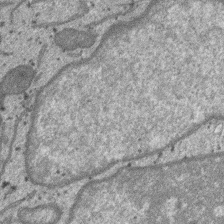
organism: Human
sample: Lung epithelial cells infected with SARS-CoV-2